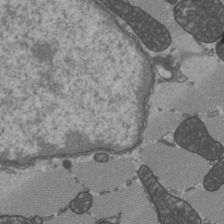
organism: C57BL Mouse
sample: Heart